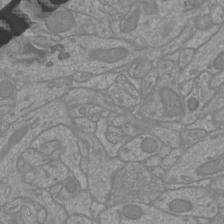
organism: Mouse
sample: Cortical neurons